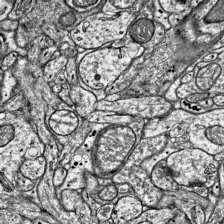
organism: Mouse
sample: Visual Cortex